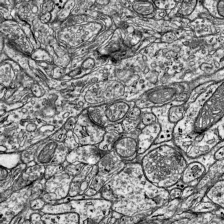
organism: Mouse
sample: Visual Cortex